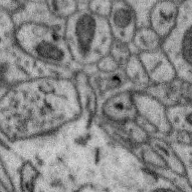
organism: Zebra finch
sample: Brain